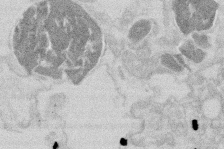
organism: Mouse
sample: T cell stromal cell synapse